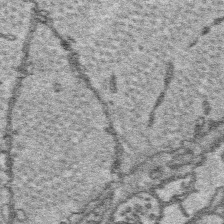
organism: Platynereis dumerilii